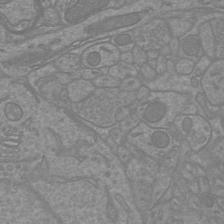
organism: Mouse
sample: Cortical neurons